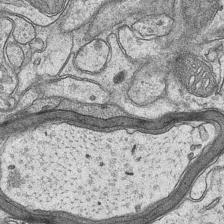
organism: Mouse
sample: CA1 Hippocampus